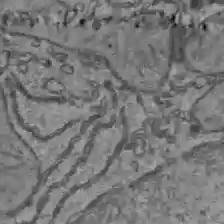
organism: C57BL Mouse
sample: Liver